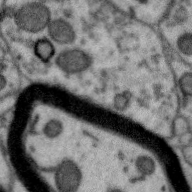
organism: Zebra finch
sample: Brain